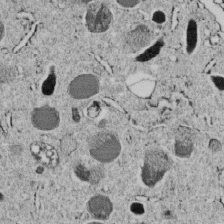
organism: C. elegans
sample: C. elegans embryo early stage